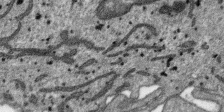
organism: Human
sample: Lung epithelial cells, uninfected (mock) control